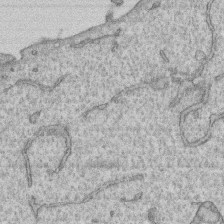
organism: Human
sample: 1205lu cells